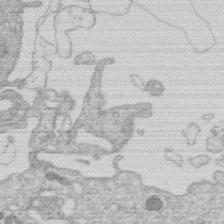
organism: Human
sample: Macrophage cells